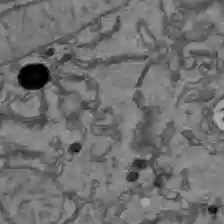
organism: C57BL Mouse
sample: Liver